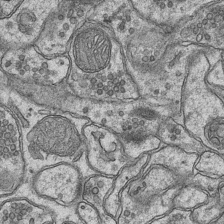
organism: Mouse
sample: CA1 Hippocampus